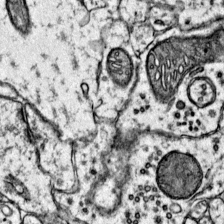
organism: Mouse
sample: Primary visual cortex